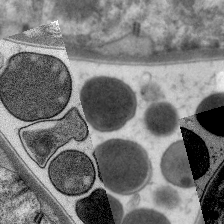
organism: C. elegans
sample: Pharynx